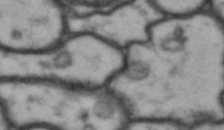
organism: Drosophila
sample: Brain